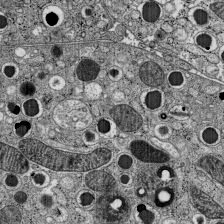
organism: C57BL Mouse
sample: Pancreatic islet